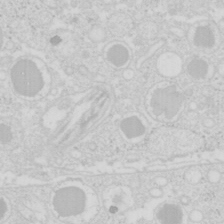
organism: Mouse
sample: Pancreas